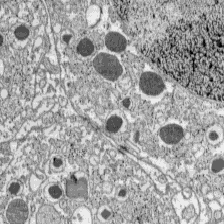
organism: C57BL Mouse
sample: Pancreatic islet